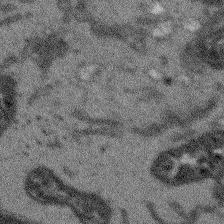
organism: Arabidopsis thaliana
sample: Root tip